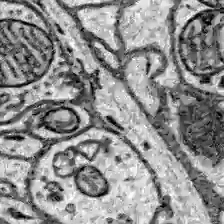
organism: Zebrafish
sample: Brain